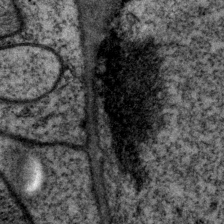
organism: P. pacificus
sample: Pharynx